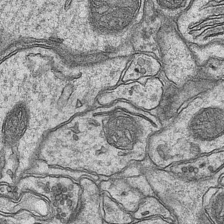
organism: Mouse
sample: CA1 Hippocampus